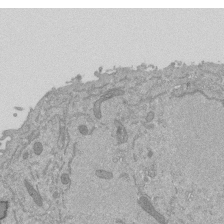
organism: Mouse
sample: ED-1 cell nuclei; centrioles